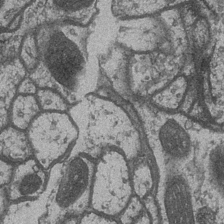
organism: Drosophila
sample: Optic medulla